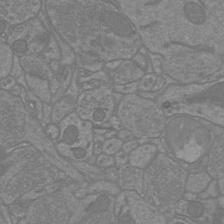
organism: Mouse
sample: Cortical neurons